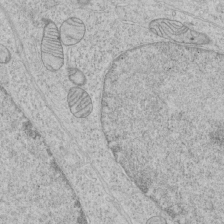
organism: Human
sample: Mitochondria in HCT116 cells